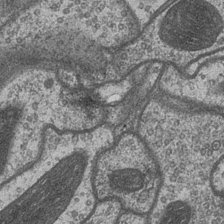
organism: Drosophila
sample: Optic medulla